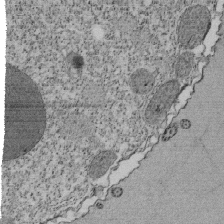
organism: Tetrahymena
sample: Cilia in tetrahymena